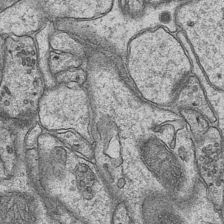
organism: Mouse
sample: CA1 Hippocampus